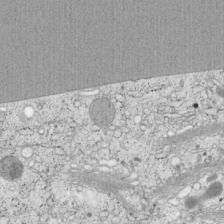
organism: African green monkey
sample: COS-7 cells